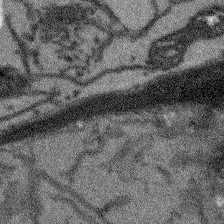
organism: Arabidopsis thaliana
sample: Root tip